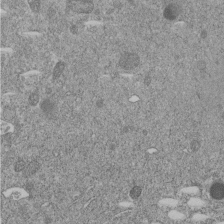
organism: C. elegans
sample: C. elegans embryo early stage